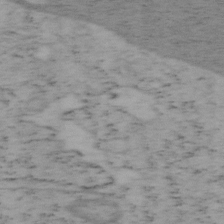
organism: Mouse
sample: OT-I killer T cells with ID8 ovarian cancer cells